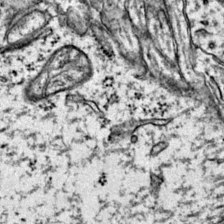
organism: Mouse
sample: Primary visual cortex